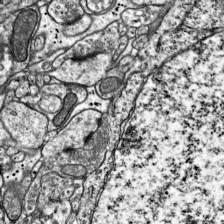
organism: Mouse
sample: Visual Cortex